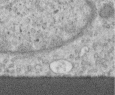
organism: Human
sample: Centriole in RPE cells